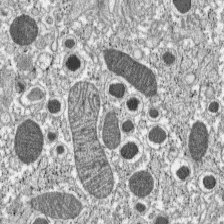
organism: C57BL Mouse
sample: Pancreatic islet